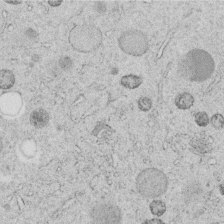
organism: C. elegans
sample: C. elegans embryo early stage